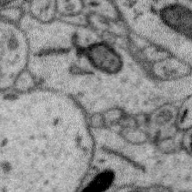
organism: Zebra finch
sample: Brain